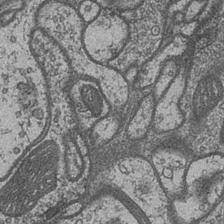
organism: Drosophila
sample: Optic medulla